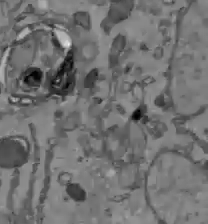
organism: C57BL Mouse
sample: Liver